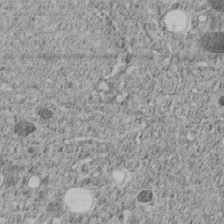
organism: C. elegans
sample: C. elegans embryo early stage